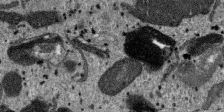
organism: Human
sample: Lung epithelial cells, uninfected (mock) control